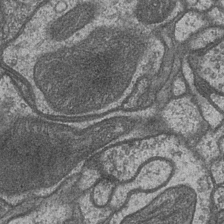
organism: Drosophila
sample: Optic medulla